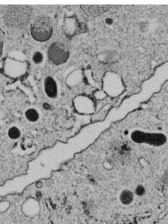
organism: C. elegans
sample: C. elegans embryo early stage